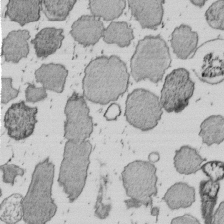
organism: E. coli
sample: Bacterial nucleoid